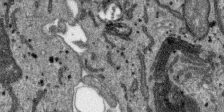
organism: Human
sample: Lung epithelial cells, uninfected (mock) control